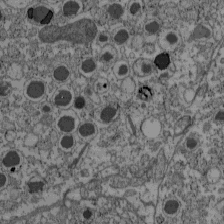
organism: C57BL Mouse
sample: Pancreatic islet